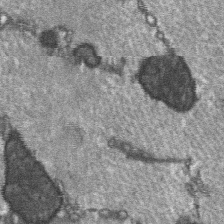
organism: C57BL Mouse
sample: Soleus